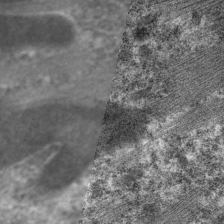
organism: C. elegans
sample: Pharynx